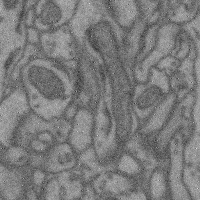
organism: Mouse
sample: Cerebral cortex